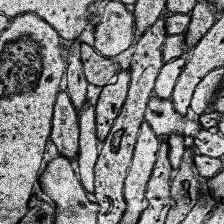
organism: Human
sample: Temporal Lobe